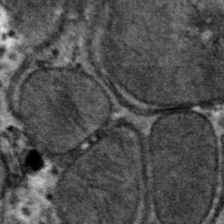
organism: Mouse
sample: Mouse hepatocytes